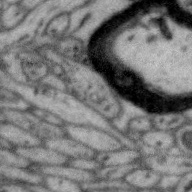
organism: Zebra finch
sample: Brain